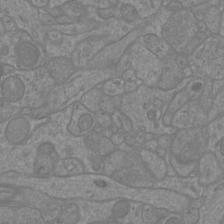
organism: Mouse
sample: Cortical neurons